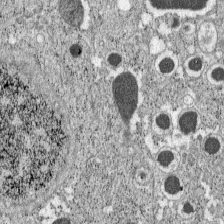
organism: C57BL Mouse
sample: Pancreatic islet